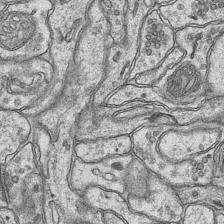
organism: Mouse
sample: CA1 Hippocampus